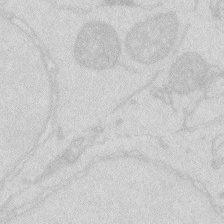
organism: Zebrafish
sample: Macrophage